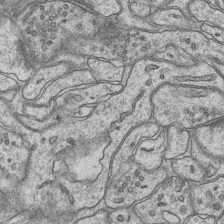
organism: Mouse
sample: CA1 Hippocampus